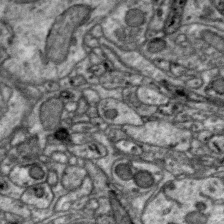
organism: Zebra finch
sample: Brain